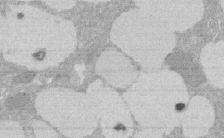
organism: Rat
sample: Salivary granule